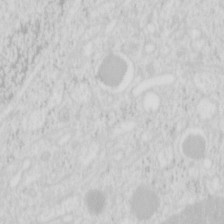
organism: Mouse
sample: Pancreas